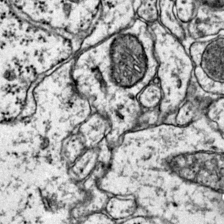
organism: Mouse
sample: Primary visual cortex